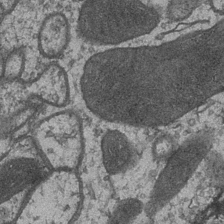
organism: Drosophila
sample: Optic medulla